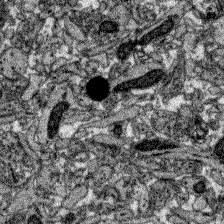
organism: Zebrafish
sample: Larval olfactory bulb